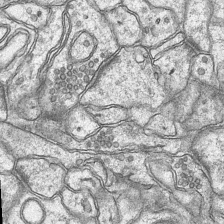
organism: Mouse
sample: CA1 Hippocampus